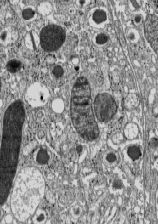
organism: C57BL Mouse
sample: Pancreatic islet